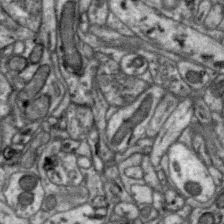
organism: Zebra finch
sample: Brain